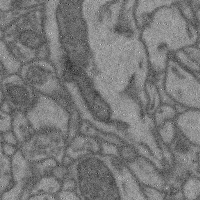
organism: Mouse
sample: Cerebral cortex